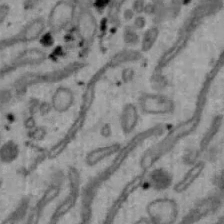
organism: Mouse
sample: Liver